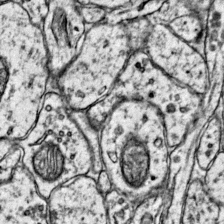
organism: Mouse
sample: Primary visual cortex